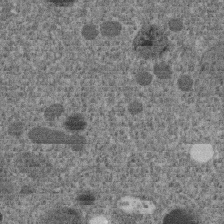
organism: C. elegans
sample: C. elegans embryo early stage